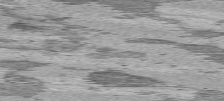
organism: C57BL Mouse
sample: Heart